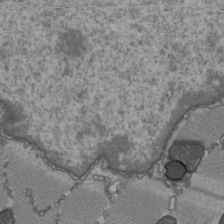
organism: C57BL Mouse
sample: Heart